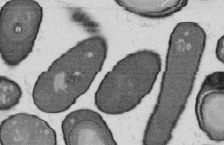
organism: B. subtilis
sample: Bacterial spore